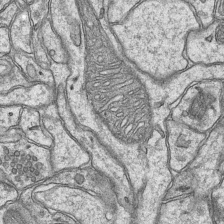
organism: Mouse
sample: CA1 Hippocampus